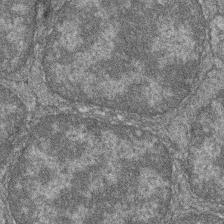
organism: Zebrafish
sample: Cilia; retinal pigment epithelium